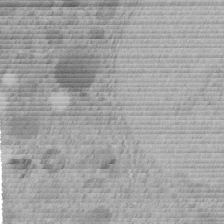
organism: C. elegans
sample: C. elegans embryo early stage